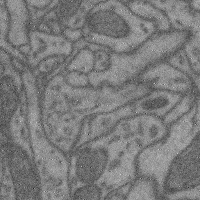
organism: Mouse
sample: Cerebral cortex